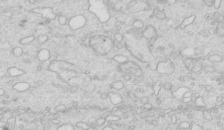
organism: Mouse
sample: Multiciliated cells